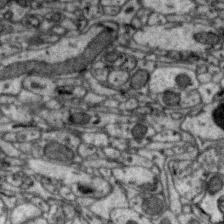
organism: Zebra finch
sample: Brain